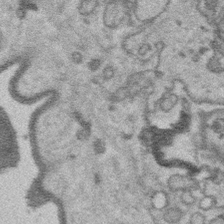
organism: Platynereis dumerilii